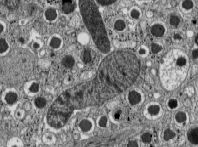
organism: C57BL Mouse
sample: Pancreatic islet